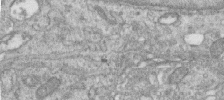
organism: Human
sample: Centriole in RPE cells